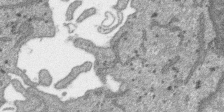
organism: Human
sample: Lung epithelial cells infected with SARS-CoV-2